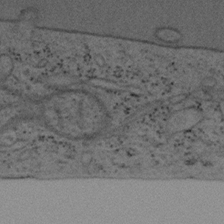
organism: Human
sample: HeLa cells